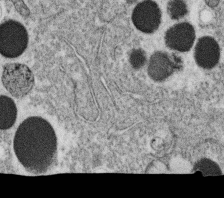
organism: C. elegans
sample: C. elegans oocyte; sperm cells